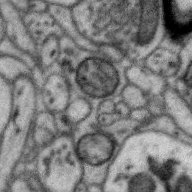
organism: Zebra finch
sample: Brain